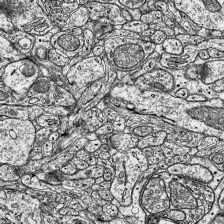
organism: Mouse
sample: Visual Cortex